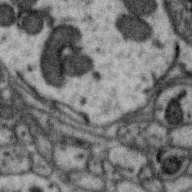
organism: Zebra finch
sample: Brain